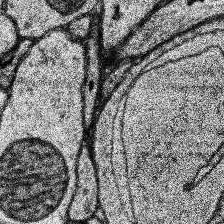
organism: Human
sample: Temporal Lobe